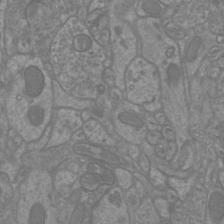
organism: Mouse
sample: Cortical neurons